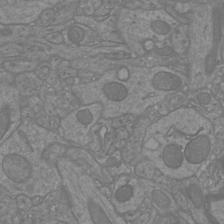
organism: Mouse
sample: Cortical neurons